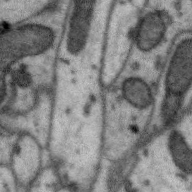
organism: Zebra finch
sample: Brain